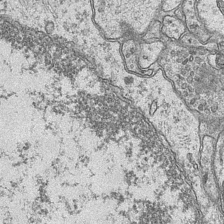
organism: Mouse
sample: CA1 Hippocampus